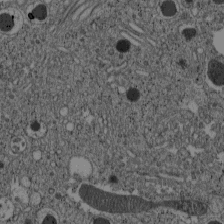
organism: C57BL Mouse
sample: Pancreatic islet